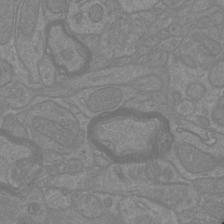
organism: Mouse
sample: Cortical neurons